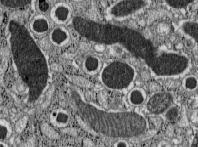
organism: C57BL Mouse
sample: Pancreatic islet